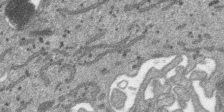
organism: Human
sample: Lung epithelial cells infected with SARS-CoV-2